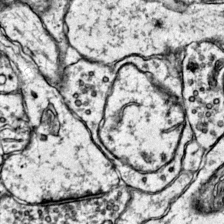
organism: Mouse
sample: Primary visual cortex